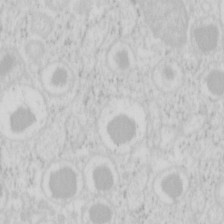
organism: Mouse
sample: Pancreas